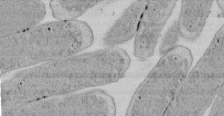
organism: E. coli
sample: Bacterial nucleoid